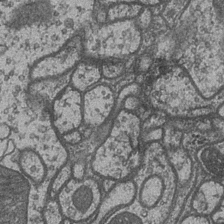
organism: Drosophila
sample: Optic medulla